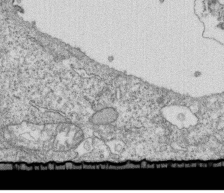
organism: Human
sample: HeLa cell HIV synapse